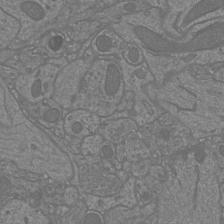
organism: Mouse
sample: Cortical neurons